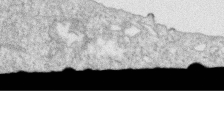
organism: Human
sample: HeLa cell HIV synapse